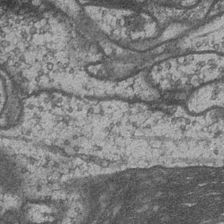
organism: Drosophila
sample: Optic medulla